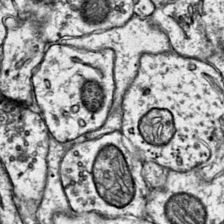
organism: Mouse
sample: Primary visual cortex